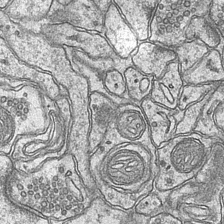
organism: Mouse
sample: CA1 Hippocampus